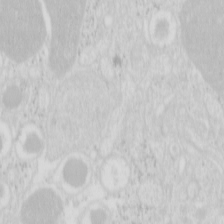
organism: Mouse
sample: Pancreas